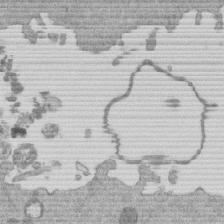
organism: Mouse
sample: Dividing mouse embryo 1 cell stage